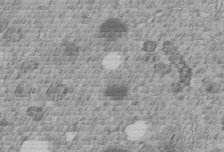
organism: C. elegans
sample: C. elegans embryo early stage